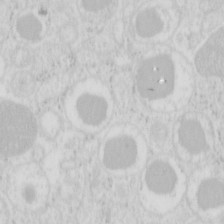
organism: Mouse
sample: Pancreas